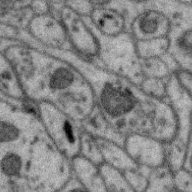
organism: Zebra finch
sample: Brain